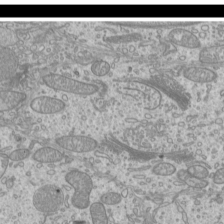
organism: Mouse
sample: Cilia; mouse epididymis